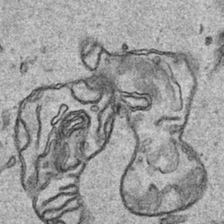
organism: Human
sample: Mitochondria in HCT116 cells